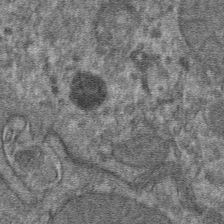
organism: Mouse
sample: Mouse hepatocytes